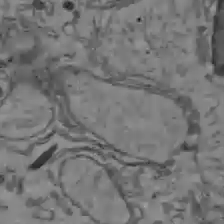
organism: C57BL Mouse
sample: Liver